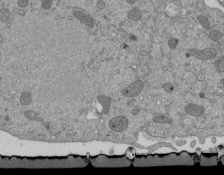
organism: Mouse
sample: ED-1 cell nuclei; centrioles